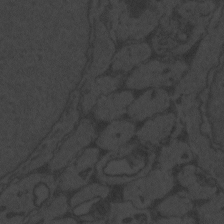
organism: Zebrafish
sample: Macrophage infected with Toxoplasma gondii